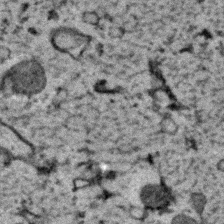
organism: C. elegans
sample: C. elegans embryo